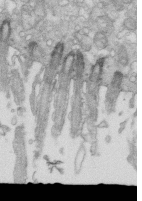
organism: Mouse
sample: Multiciliated cells